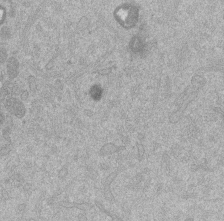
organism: Mouse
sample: Dividing mouse embryo 1 cell stage